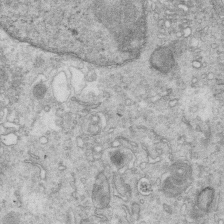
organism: Mouse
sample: Multiciliated cells